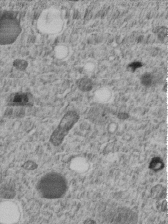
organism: C. elegans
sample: C. elegans embryo early stage